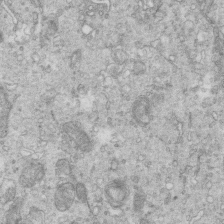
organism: Mouse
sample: Multiciliated cells